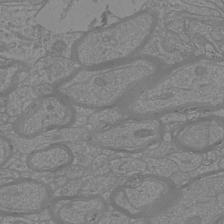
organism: Mouse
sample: Cortical neurons